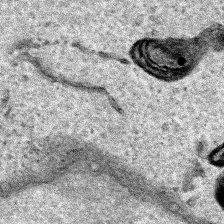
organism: Human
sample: Mitochondria in HCT116 cells